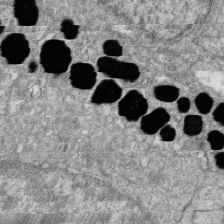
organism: Zebrafish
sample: Cilia; retinal pigment epithelium